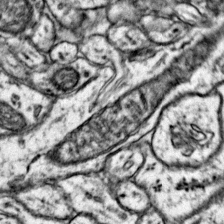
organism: Mouse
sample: Primary visual cortex